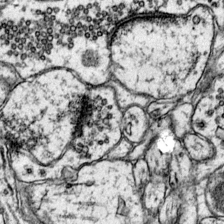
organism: Mouse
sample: Primary visual cortex